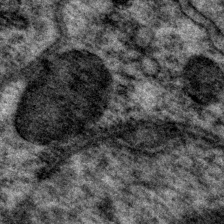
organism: P. pacificus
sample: Pharynx